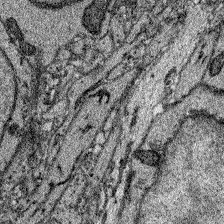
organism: Zebrafish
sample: Larval olfactory bulb